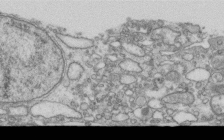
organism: Human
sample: Centriole in RPE cells